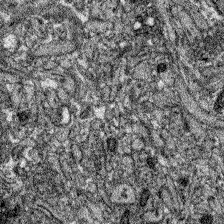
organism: Zebrafish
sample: Larval olfactory bulb